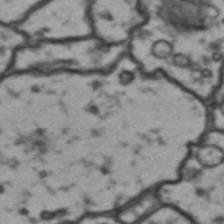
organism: Drosophila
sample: Brain